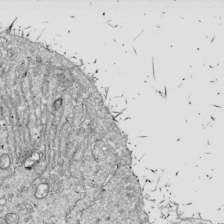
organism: Drosophila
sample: Cell division; meiosis; drosophila spermatocytes